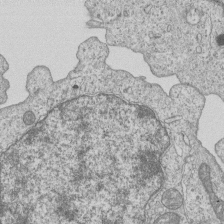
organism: Human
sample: MDA-MB-231 cells